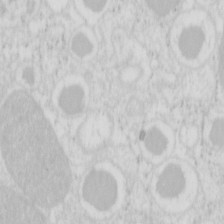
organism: Mouse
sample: Pancreas